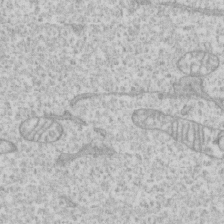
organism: Human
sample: CRL-1474